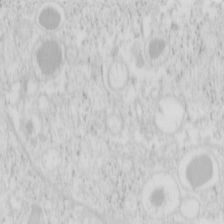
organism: Mouse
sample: Pancreas